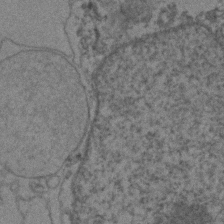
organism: Zebrafish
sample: Zebrafish embryo